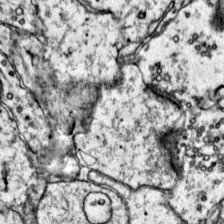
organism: Mouse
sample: Primary visual cortex